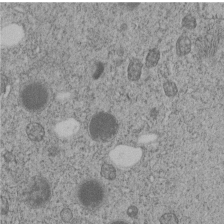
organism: C. elegans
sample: C. elegans embryo early stage